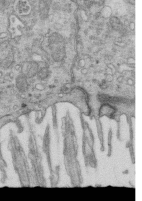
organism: Mouse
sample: Multiciliated cells